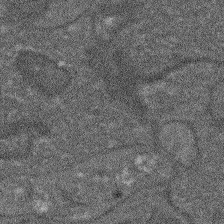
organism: Arabidopsis thaliana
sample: Root tip